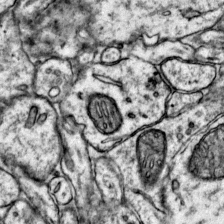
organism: Mouse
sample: Primary visual cortex